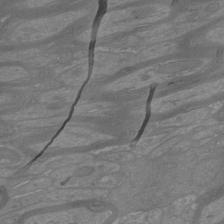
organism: Mouse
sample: Cortical neurons